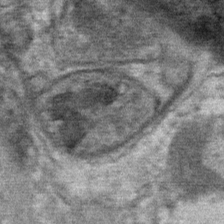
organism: Mouse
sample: Mouse Salivary gland